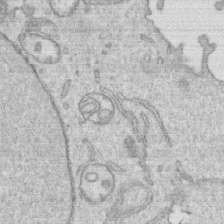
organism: Human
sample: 1205lu cells